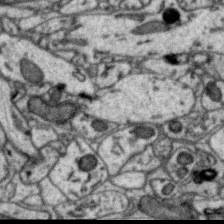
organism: Zebra finch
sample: Brain